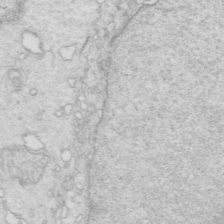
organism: Mouse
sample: Multiciliated cells